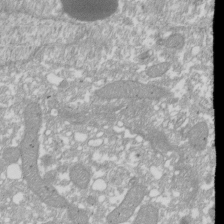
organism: Xenopus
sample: Cilia; centrioles in frog embryo cells